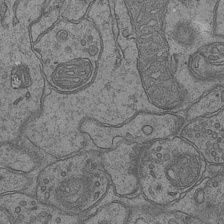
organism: Mouse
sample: CA1 Hippocampus